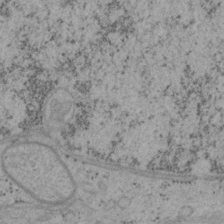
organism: Human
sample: HeLa cells